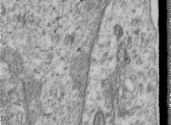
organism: Human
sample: Centriole in RPE cells